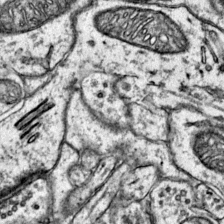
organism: Mouse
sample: Primary visual cortex